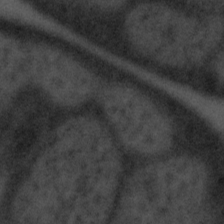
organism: Tuwongella immobilis